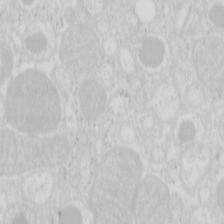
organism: Mouse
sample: Pancreas